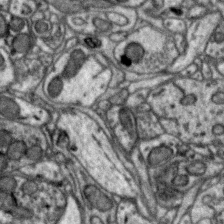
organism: Zebra finch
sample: Brain